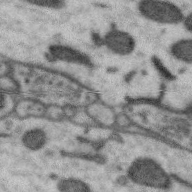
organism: Zebra finch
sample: Brain